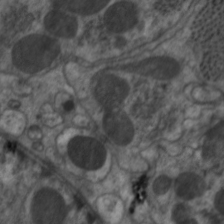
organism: C. elegans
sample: Pharynx